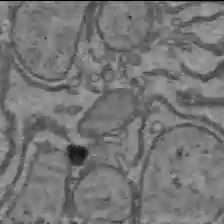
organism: C57BL Mouse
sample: Liver